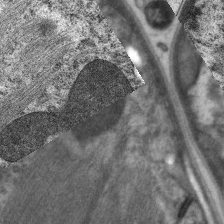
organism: C. elegans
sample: Pharynx